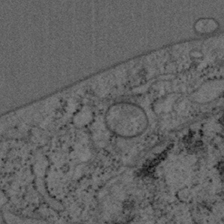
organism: Human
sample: HeLa cells